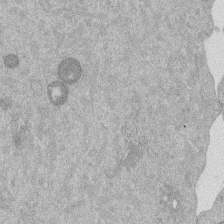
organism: Mouse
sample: Dividing mouse embryo 1 cell stage